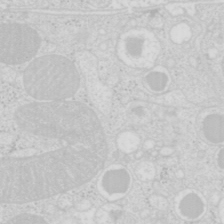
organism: Mouse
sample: Pancreas